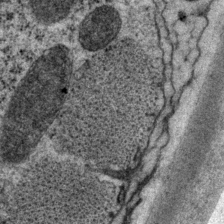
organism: P. pacificus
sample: Pharynx